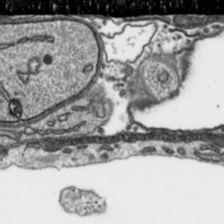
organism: Toxoplasma gondii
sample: Parasites in a vacuole inside a host cell